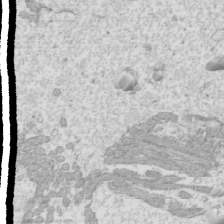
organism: Mouse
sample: Cilia; mouse epididymis